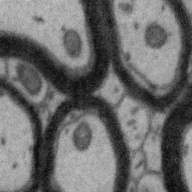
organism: Zebra finch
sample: Brain